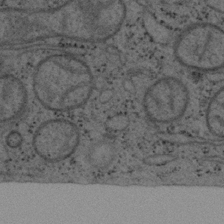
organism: Human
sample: HeLa cells